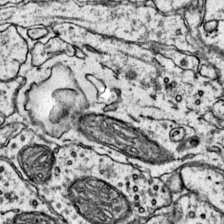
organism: Mouse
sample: Primary visual cortex